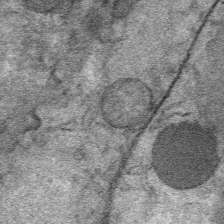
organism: Mouse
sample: Mouse Salivary gland